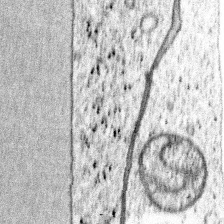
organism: Human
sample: HeLa cells